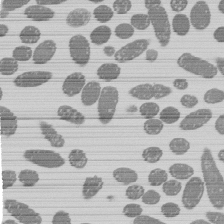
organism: E. coli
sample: Bacterial nucleoid